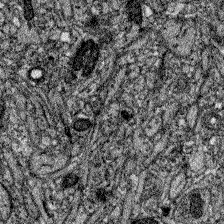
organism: Zebrafish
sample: Larval olfactory bulb